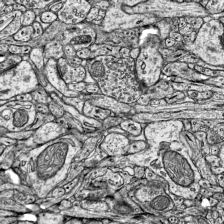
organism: Mouse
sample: Visual Cortex